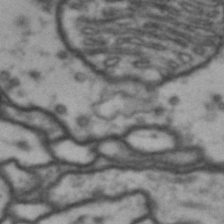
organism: Drosophila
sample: Brain